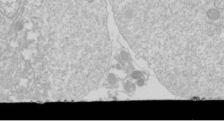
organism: Drosophila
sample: Cell division; meiosis; drosophila spermatocytes